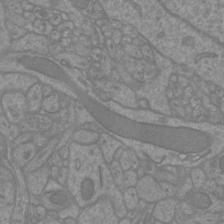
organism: Mouse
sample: Cortical neurons